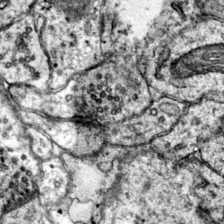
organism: Mouse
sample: Primary visual cortex